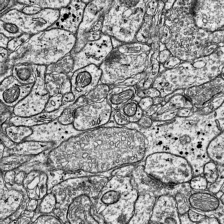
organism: Mouse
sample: Visual Cortex